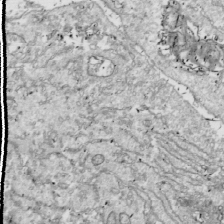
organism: Drosophila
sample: Cell division; meiosis; drosophila spermatocytes